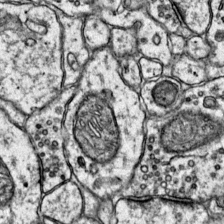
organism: Mouse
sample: Primary visual cortex